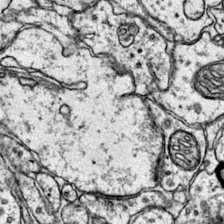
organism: Mouse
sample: Primary visual cortex